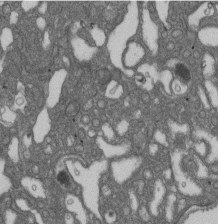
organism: Drosophila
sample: Nephrocyte